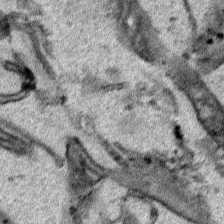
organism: Human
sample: Mitochondria in HCT116 cells